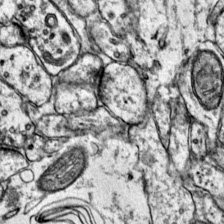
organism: Mouse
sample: Primary visual cortex